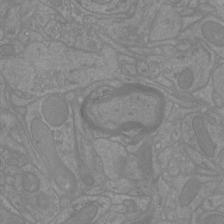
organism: Mouse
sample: Cortical neurons